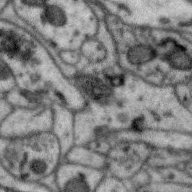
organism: Zebra finch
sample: Brain